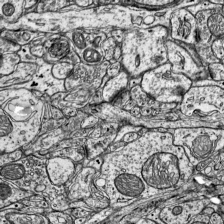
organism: Mouse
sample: Visual Cortex